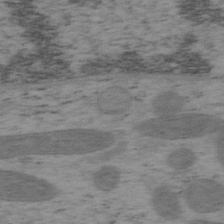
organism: Mouse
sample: OT-I killer T cells with ID8 ovarian cancer cells